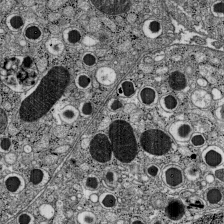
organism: C57BL Mouse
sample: Pancreatic islet